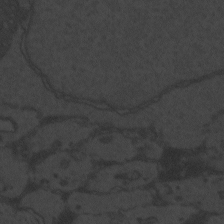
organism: Zebrafish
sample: Macrophage infected with Toxoplasma gondii